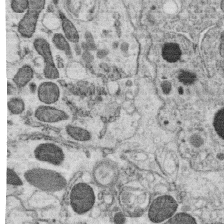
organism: C. elegans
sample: C. elegans oocyte; sperm cells